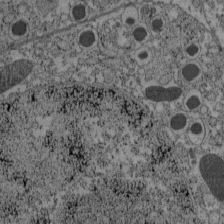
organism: C57BL Mouse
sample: Pancreatic islet